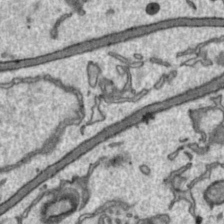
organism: Toxoplasma gondii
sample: Parasites in a vacuole inside a host cell